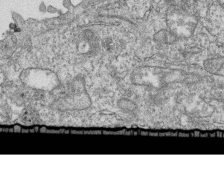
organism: Human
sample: HeLa cell HIV synapse